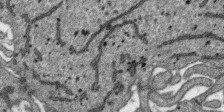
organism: Human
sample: Lung epithelial cells, uninfected (mock) control